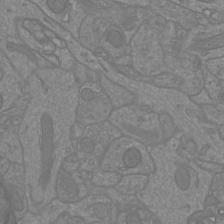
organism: Mouse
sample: Cortical neurons